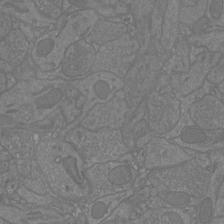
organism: Mouse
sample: Cortical neurons